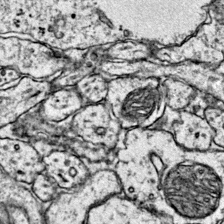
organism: Mouse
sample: Primary visual cortex